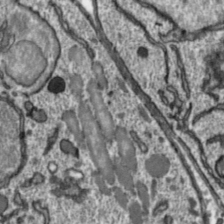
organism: Toxoplasma gondii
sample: Parasites in a vacuole inside a host cell